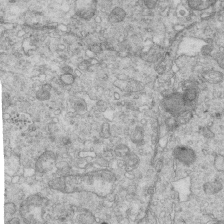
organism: Mouse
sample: Multiciliated cells